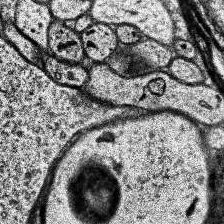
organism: Human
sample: Temporal Lobe